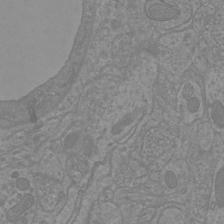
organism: Mouse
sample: Cortical neurons